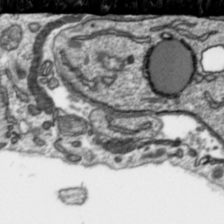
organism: Toxoplasma gondii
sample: Parasites in a vacuole inside a host cell